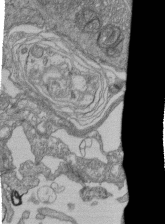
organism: Human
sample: Retinal organoid Rod and Cone cells